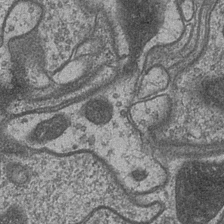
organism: Drosophila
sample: Optic medulla